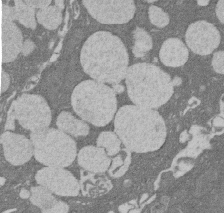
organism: Rat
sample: Salivary granule